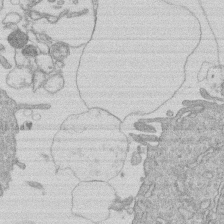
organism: Human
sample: Macrophage cells